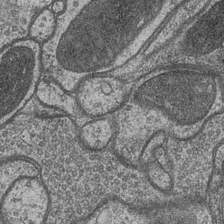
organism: Drosophila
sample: Optic medulla